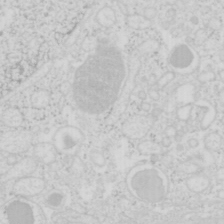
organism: Mouse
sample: Pancreas